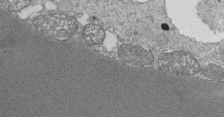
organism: Tetrahymena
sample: Cilia in tetrahymena